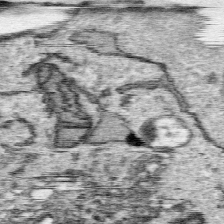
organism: Human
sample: HeLa cells